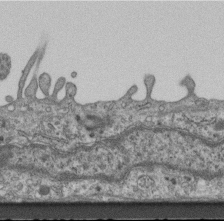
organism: Mouse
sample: Centriole in ependymal cells